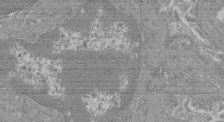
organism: Mouse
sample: Glomerulus